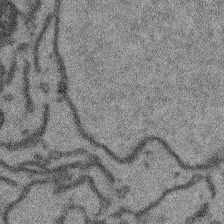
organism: Arabidopsis thaliana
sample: Root tip